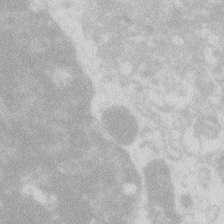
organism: Zebrafish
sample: Macrophage